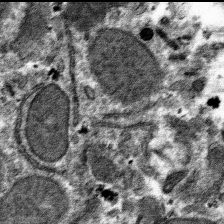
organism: Mouse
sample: Mouse hepatocytes